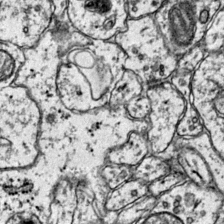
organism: Mouse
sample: Primary visual cortex